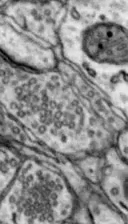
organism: Mouse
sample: Nucleus accumbens